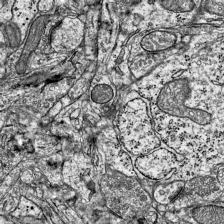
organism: Mouse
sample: Visual Cortex